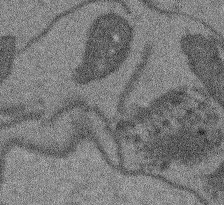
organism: Arabidopsis thaliana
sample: Root tip